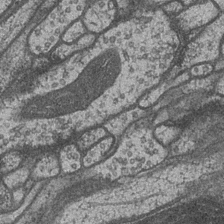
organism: Drosophila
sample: Optic medulla